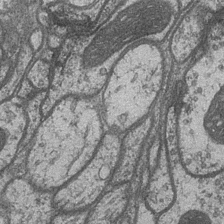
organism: Drosophila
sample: Optic medulla